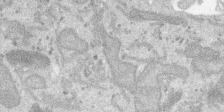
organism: Human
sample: Lung epithelial cells infected with SARS-CoV-2